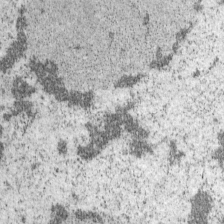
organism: Mouse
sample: OT-I killer T cells with ID8 ovarian cancer cells